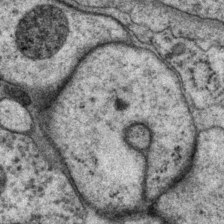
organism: P. pacificus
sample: Pharynx